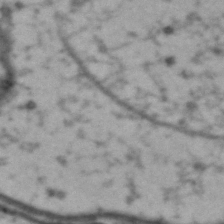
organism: Drosophila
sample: Brain